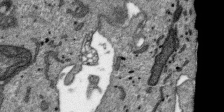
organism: Human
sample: Lung epithelial cells, uninfected (mock) control